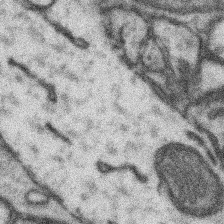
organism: Mouse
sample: Somatosensory cortex neuropil